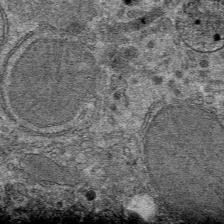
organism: Mouse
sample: Mouse hepatocytes